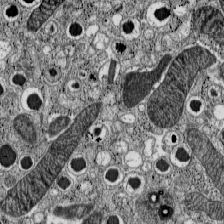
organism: C57BL Mouse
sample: Pancreatic islet